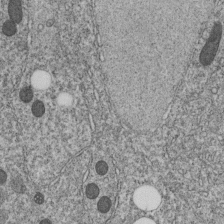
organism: C. elegans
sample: C. elegans embryo early stage